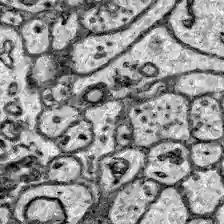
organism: Zebrafish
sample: Brain